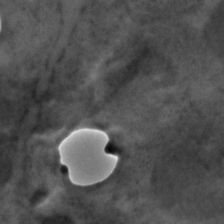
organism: C. elegans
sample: C. elegans embryo